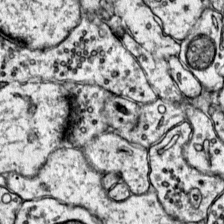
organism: Mouse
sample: Primary visual cortex